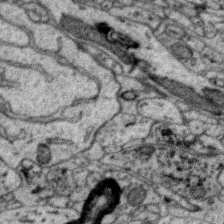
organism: Zebra finch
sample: Brain